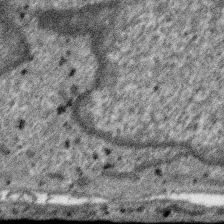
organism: Human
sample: Lung epithelial cells infected with SARS-CoV-2